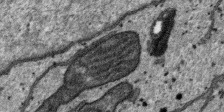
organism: Human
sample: Lung epithelial cells, uninfected (mock) control